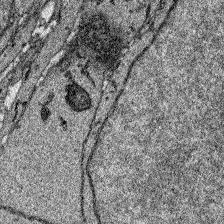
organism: Zebrafish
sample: Larval olfactory bulb